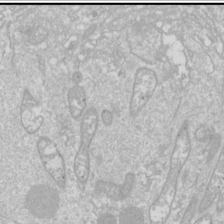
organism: Drosophila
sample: Cell division; meiosis; drosophila spermatocytes